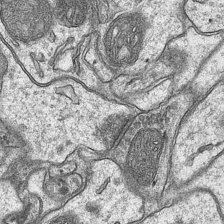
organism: Mouse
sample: CA1 Hippocampus